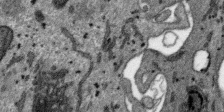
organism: Human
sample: Lung epithelial cells, uninfected (mock) control